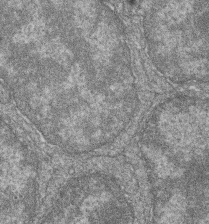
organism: Zebrafish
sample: Cilia; retinal pigment epithelium